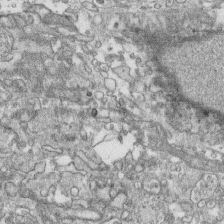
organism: Human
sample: CRL-1474